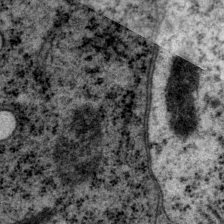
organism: P. pacificus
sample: Pharynx